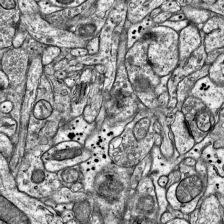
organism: Mouse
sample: Visual Cortex